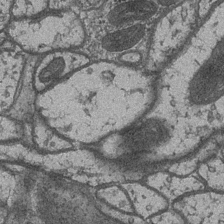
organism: Drosophila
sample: Optic medulla